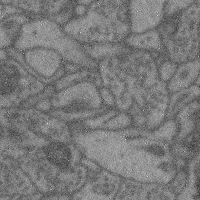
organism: Mouse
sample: Cerebral cortex